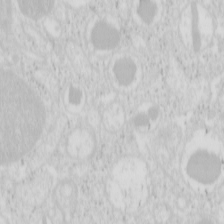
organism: Mouse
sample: Pancreas